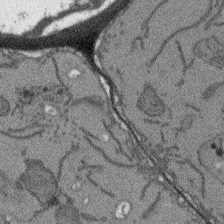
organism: Arabidopsis thaliana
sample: Root tip